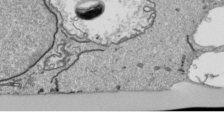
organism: Human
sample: Mitochondria in HCT116 cells